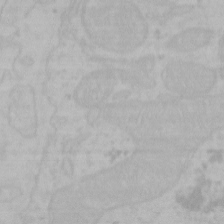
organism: Mouse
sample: Choroid plexus